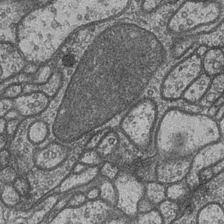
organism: Drosophila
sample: Optic medulla